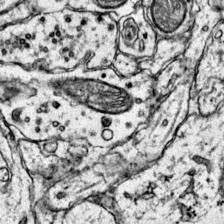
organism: Mouse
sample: Primary visual cortex